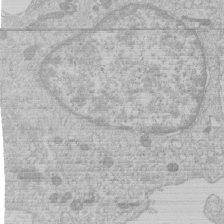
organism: Human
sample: Macrophage cells